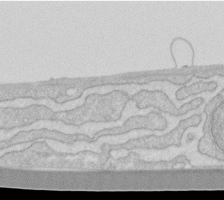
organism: Human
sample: Fibroblast cells